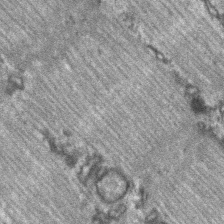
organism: C57BL Mouse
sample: Soleus